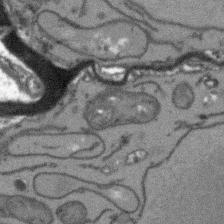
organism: Arabidopsis thaliana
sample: Root tip